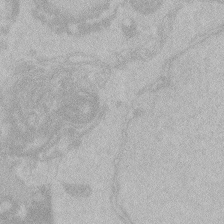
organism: Zebrafish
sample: Macrophage infected with Toxoplasma gondii